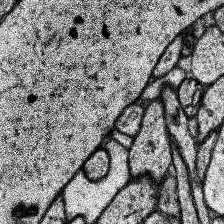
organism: Human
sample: Temporal Lobe